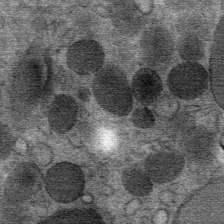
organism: Mouse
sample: Mouse Salivary gland